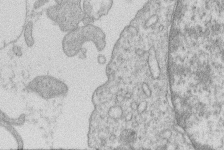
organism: Human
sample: Macrophage cells